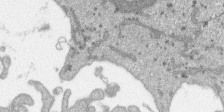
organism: Human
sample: Lung epithelial cells infected with SARS-CoV-2